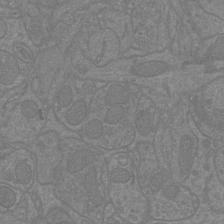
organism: Mouse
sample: Cortical neurons